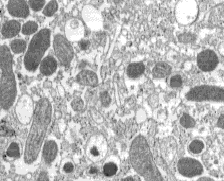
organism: C57BL Mouse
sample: Pancreatic islet